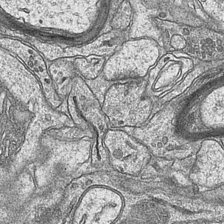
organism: Mouse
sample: CA1 Hippocampus